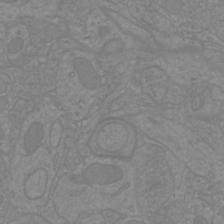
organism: Mouse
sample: Cortical neurons